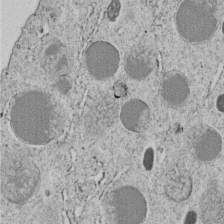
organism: C. elegans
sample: C. elegans embryo early stage